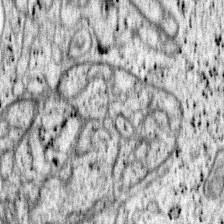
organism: Human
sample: HeLa cells